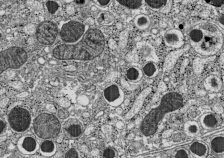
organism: C57BL Mouse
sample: Pancreatic islet